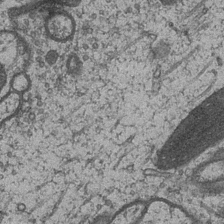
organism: Drosophila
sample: Optic medulla